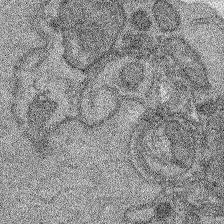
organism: Human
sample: HeLa cells